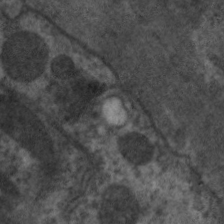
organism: C. elegans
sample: Pharynx